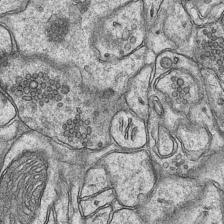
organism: Mouse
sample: CA1 Hippocampus